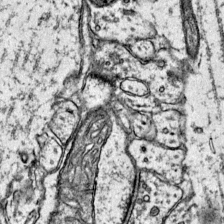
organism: Mouse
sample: Primary visual cortex